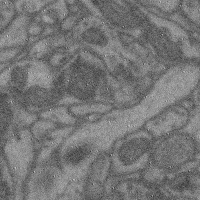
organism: Mouse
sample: Cerebral cortex